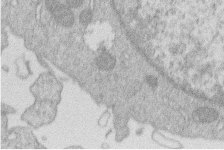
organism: Human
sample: Macrophage cells